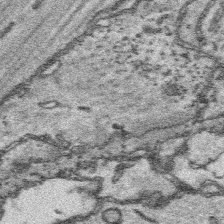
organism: Platynereis dumerilii